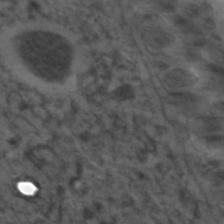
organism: C. elegans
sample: C. elegans embryo